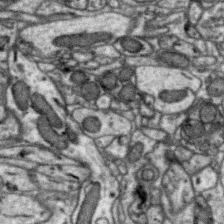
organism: Zebra finch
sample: Brain